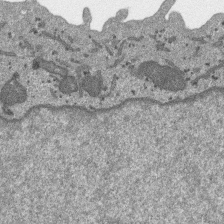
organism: Human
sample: Lung epithelial cells infected with SARS-CoV-2